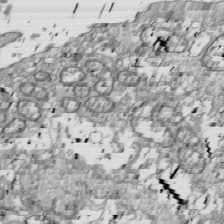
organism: Drosophila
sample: Cell division; meiosis; drosophila spermatocytes